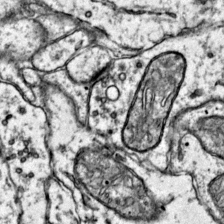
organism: Mouse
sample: Primary visual cortex